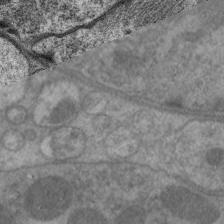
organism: C. elegans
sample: Pharynx